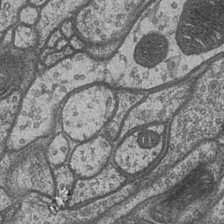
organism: Drosophila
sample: Optic medulla